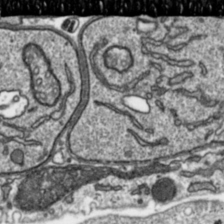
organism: Toxoplasma gondii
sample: Parasites in a vacuole inside a host cell